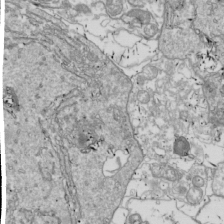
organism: Drosophila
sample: Cell division; meiosis; drosophila spermatocytes